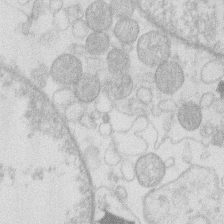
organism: Human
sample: Macrophage cells